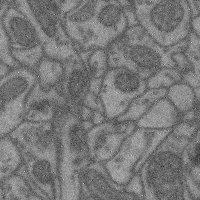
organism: Mouse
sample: Cerebral cortex